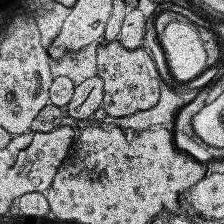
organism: Human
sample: Temporal Lobe